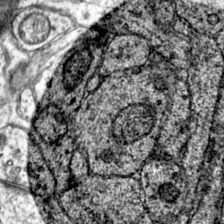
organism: Mouse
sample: Primary visual cortex